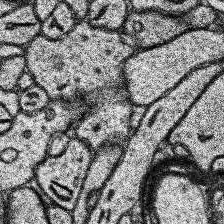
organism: Human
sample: Temporal Lobe